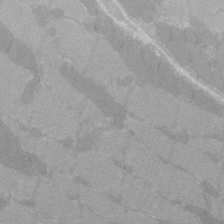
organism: C57BL Mouse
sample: Tibialis anterior muscle cell